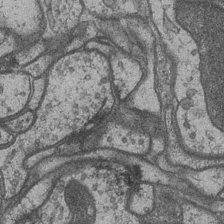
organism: Drosophila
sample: Optic medulla